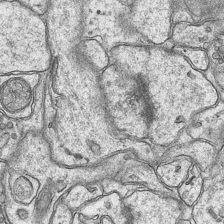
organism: Mouse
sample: CA1 Hippocampus